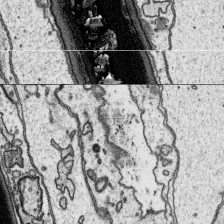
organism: Platynereis dumerilii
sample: Parapodia